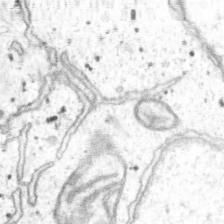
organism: Human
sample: HeLa cells